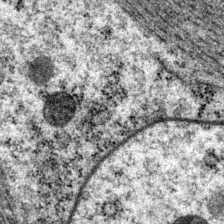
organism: P. pacificus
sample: Pharynx